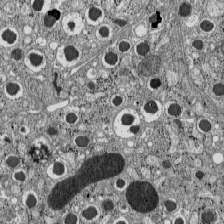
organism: C57BL Mouse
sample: Pancreatic islet